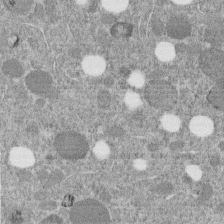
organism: C. elegans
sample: C. elegans embryo early stage